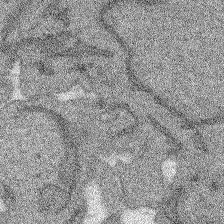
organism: Human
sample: HeLa cells